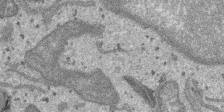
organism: Human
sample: Lung epithelial cells infected with SARS-CoV-2